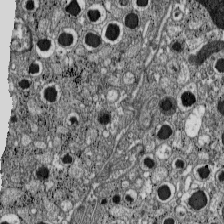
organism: C57BL Mouse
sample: Pancreatic islet